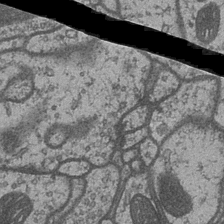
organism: Drosophila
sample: Optic medulla